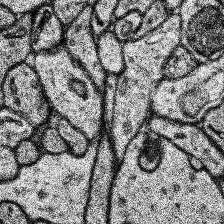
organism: Human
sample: Temporal Lobe